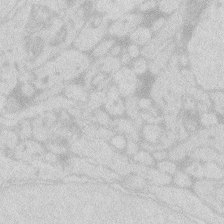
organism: Zebrafish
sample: Macrophage